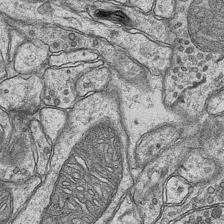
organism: Mouse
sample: CA1 Hippocampus